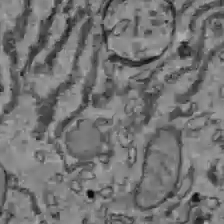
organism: C57BL Mouse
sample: Liver